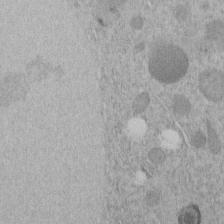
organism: C. elegans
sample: C. elegans embryo early stage